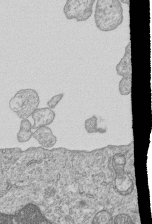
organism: Human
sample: MDA-MB-231 cells